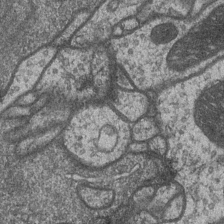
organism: Drosophila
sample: Optic medulla